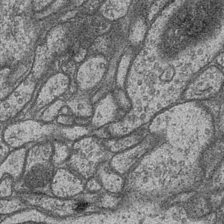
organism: Drosophila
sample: Optic medulla